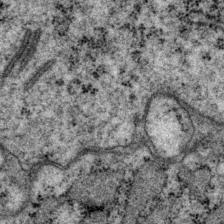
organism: P. pacificus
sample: Pharynx